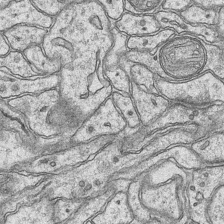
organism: Mouse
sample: CA1 Hippocampus